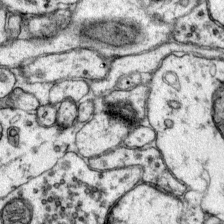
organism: Mouse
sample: Primary visual cortex